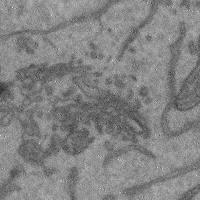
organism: Mouse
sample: Cerebral cortex